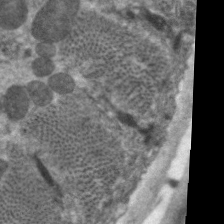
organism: C. elegans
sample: Pharynx